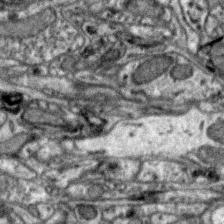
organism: Zebra finch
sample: Brain